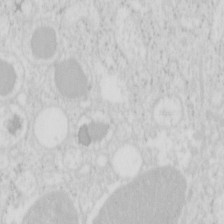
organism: Mouse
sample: Pancreas